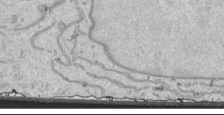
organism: Human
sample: Mitochondria in HCT116 cells